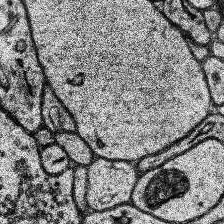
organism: Human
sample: Temporal Lobe